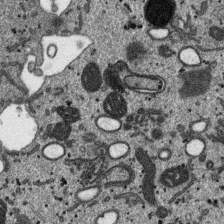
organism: Human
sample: Lung epithelial cells infected with SARS-CoV-2